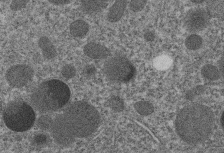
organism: C. elegans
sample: C. elegans embryo early stage